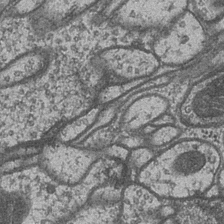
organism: Drosophila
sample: Optic medulla